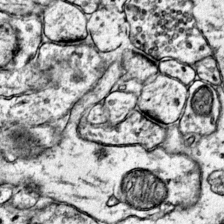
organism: Mouse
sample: Primary visual cortex